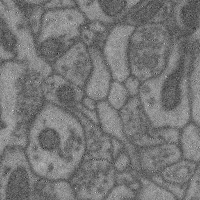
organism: Mouse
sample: Cerebral cortex